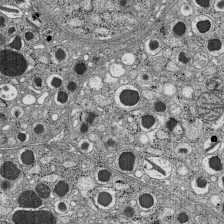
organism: C57BL Mouse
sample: Pancreatic islet